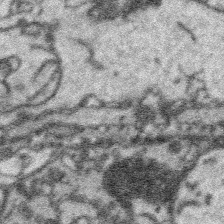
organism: Platynereis dumerilii